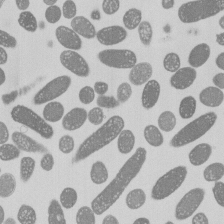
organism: E. coli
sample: Bacterial nucleoid